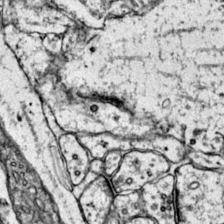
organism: Mouse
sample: Primary visual cortex